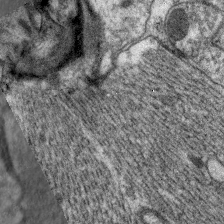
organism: C. elegans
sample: Pharynx